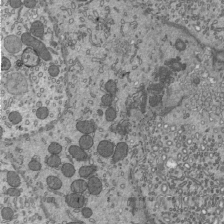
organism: Mouse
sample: Mouse epididymis efferent ductule cilia